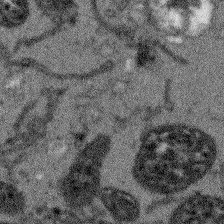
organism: Arabidopsis thaliana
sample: Root tip